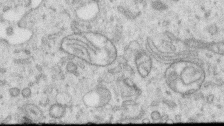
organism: Human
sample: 1205lu cells